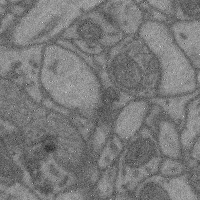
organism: Mouse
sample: Cerebral cortex